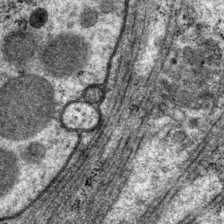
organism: P. pacificus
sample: Pharynx